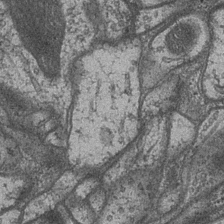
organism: Drosophila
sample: Optic medulla